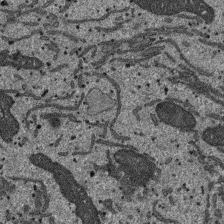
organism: Human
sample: Lung epithelial cells infected with SARS-CoV-2